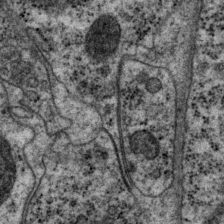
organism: P. pacificus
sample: Pharynx